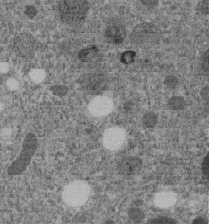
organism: C. elegans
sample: C. elegans embryo early stage